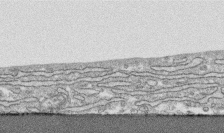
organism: Human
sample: CRL-1474